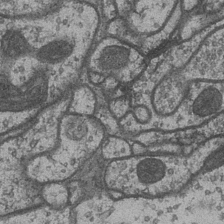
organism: Drosophila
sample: Optic medulla